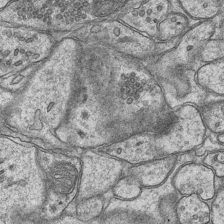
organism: Mouse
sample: CA1 Hippocampus